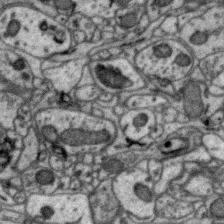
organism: Zebra finch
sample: Brain